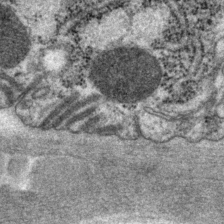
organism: P. pacificus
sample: Pharynx